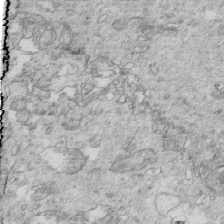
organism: Mouse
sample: Multiciliated cells